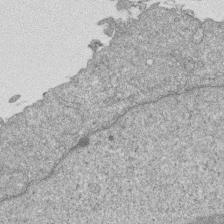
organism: Human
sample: HeLa cell HIV synapse